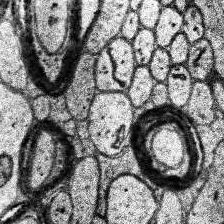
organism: Human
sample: Temporal Lobe